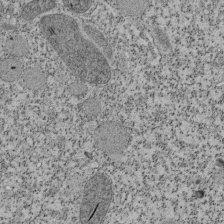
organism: Tetrahymena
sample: Cilia in tetrahymena